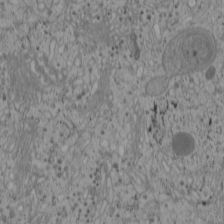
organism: African green monkey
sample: COS-7 cells